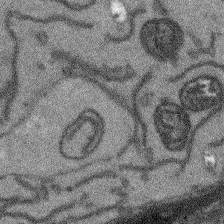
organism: Arabidopsis thaliana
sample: Root tip